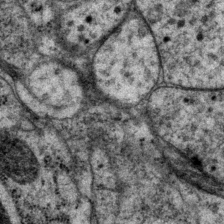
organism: P. pacificus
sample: Pharynx